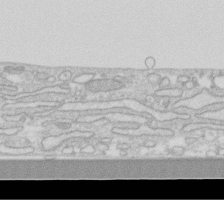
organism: Human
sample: Fibroblast cells